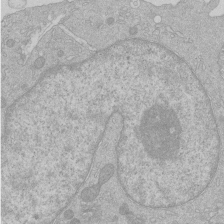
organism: Human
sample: Macrophage cells